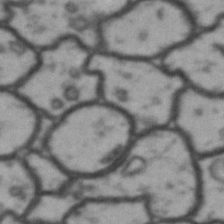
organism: Drosophila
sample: Brain